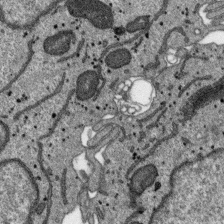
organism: Human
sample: Lung epithelial cells, uninfected (mock) control